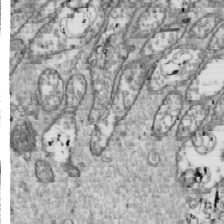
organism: Drosophila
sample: Cell division; meiosis; drosophila spermatocytes